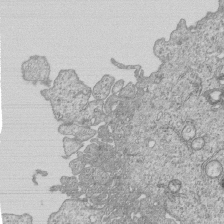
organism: Human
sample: MDA-MB-231 cells